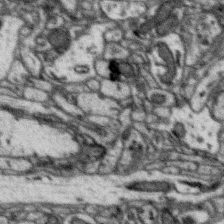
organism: Zebra finch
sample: Brain